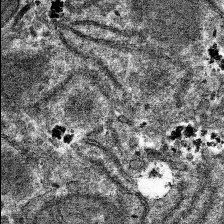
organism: Mouse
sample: Mouse hepatocytes